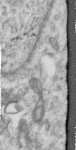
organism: Human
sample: Centriole in RPE cells